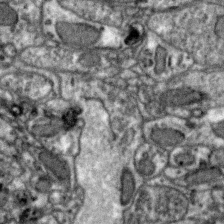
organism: Zebra finch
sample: Brain